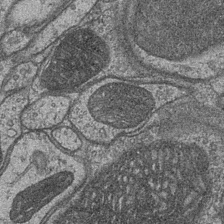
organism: Drosophila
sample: Optic medulla